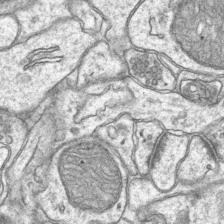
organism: Mouse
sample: CA1 Hippocampus